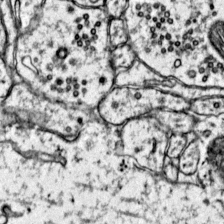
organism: Mouse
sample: Primary visual cortex